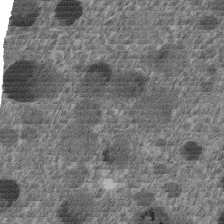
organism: C. elegans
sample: C. elegans embryo early stage